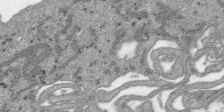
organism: Human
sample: Lung epithelial cells infected with SARS-CoV-2